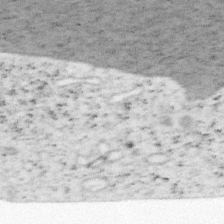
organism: Mouse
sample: OT-I killer T cells with ID8 ovarian cancer cells